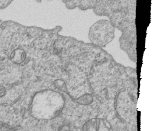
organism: Human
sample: MDA-MB-231 cells